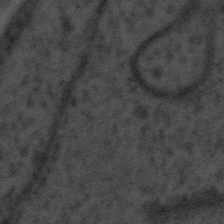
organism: Tuwongella immobilis